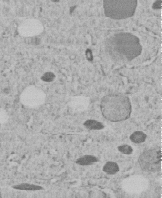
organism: C. elegans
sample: C. elegans embryo early stage